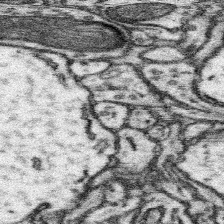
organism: Mouse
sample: Somatosensory cortex neuropil